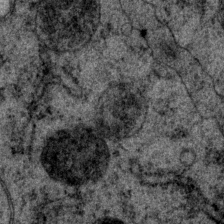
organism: P. pacificus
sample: Pharynx